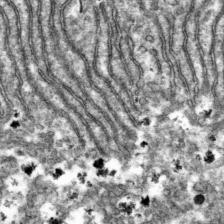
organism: Mouse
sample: Mouse hepatocytes